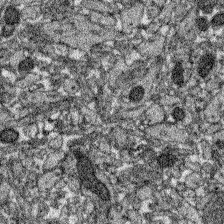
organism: Zebrafish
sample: Larval olfactory bulb